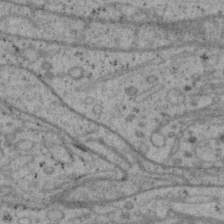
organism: Human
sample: HeLa cells